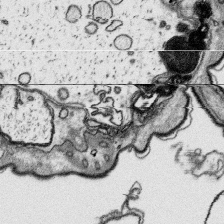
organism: Platynereis dumerilii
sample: Parapodia